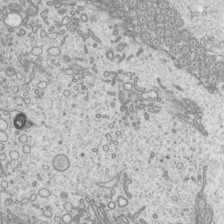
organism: Mouse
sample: Cilia; mouse epididymis